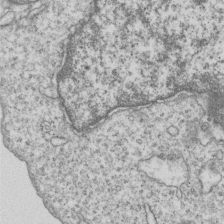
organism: Human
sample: MDA-MB-231 cells